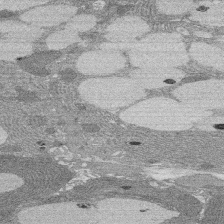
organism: Rat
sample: Salivary granule